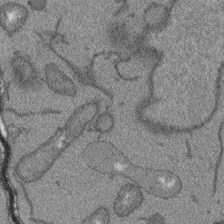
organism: Arabidopsis thaliana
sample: Root tip